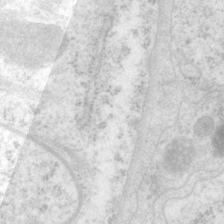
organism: P. pacificus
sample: Pharynx